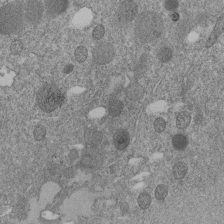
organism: C. elegans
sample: C. elegans embryo early stage